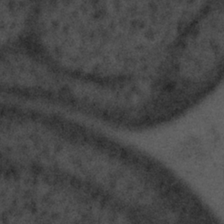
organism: Tuwongella immobilis